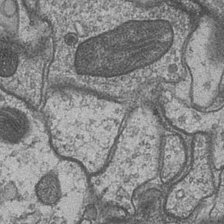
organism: Drosophila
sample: Optic medulla